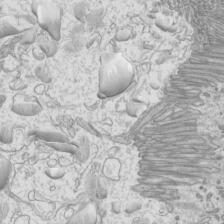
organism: Mouse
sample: Cilia; mouse epididymis